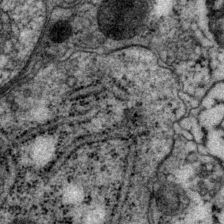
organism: P. pacificus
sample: Pharynx